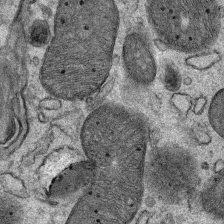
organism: Mouse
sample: Mouse Salivary gland